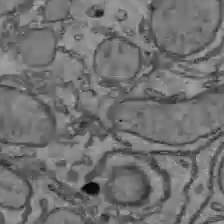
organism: C57BL Mouse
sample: Liver